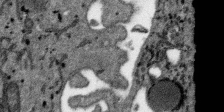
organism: Human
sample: Lung epithelial cells, uninfected (mock) control